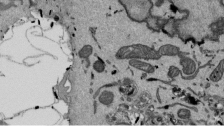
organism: Mouse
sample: ED-1 cell nuclei; centrioles